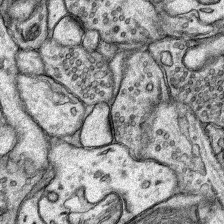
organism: Rat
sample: Hippocampus